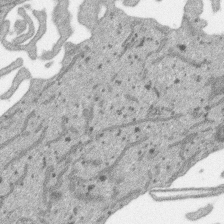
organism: Human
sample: Lung epithelial cells infected with SARS-CoV-2